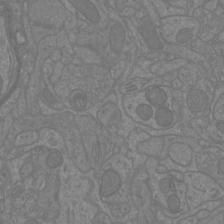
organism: Mouse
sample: Cortical neurons